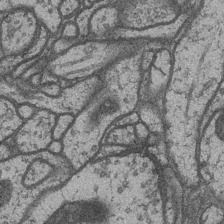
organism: Drosophila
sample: Optic medulla